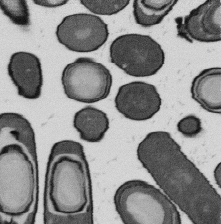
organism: B. subtilis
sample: Bacterial spore